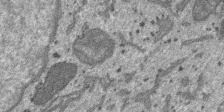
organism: Human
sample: Lung epithelial cells infected with SARS-CoV-2